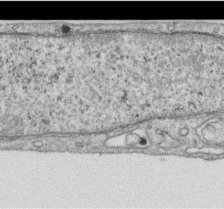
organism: Human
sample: Centriole in RPE cells